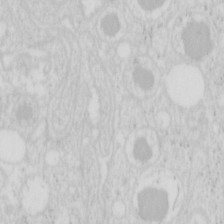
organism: Mouse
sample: Pancreas